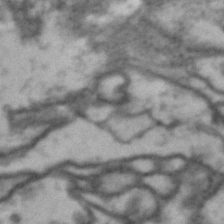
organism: Drosophila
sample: Brain